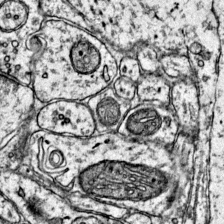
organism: Mouse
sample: Primary visual cortex